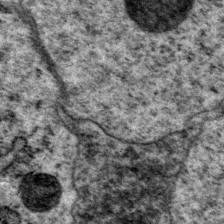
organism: P. pacificus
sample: Pharynx